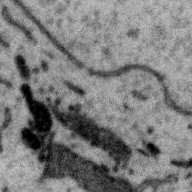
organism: Zebra finch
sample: Brain